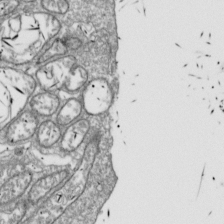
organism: Drosophila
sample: Cell division; meiosis; drosophila spermatocytes